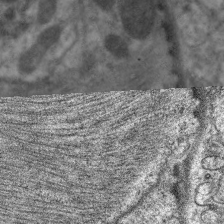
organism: C. elegans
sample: Pharynx